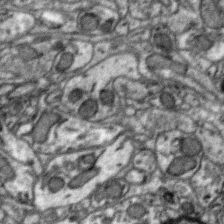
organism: Zebra finch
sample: Brain